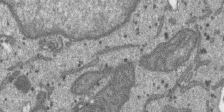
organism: Human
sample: Lung epithelial cells infected with SARS-CoV-2